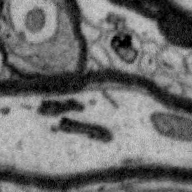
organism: Zebra finch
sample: Brain